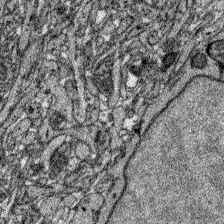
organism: Zebrafish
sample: Larval olfactory bulb